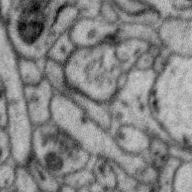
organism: Zebra finch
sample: Brain